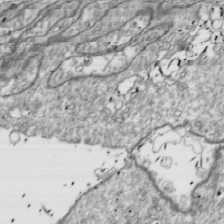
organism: Drosophila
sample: Cell division; meiosis; drosophila spermatocytes